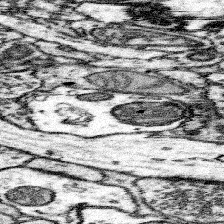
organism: Mouse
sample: Somatosensory cortex neuropil